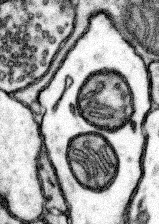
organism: Mouse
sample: Somatosensory cortex neuropil